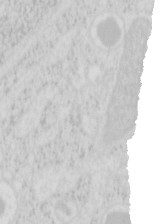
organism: Mouse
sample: Pancreas